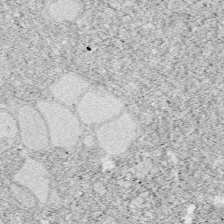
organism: Zebrafish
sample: Whole-Brain